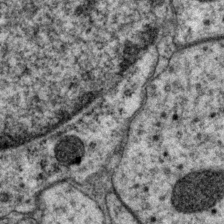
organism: P. pacificus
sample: Pharynx